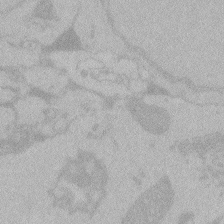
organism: Zebrafish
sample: Macrophage infected with Toxoplasma gondii